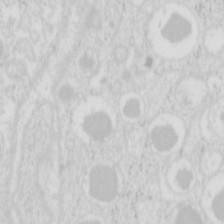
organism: Mouse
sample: Pancreas